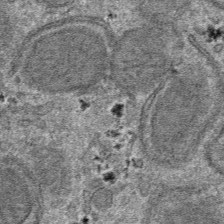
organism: Mouse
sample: Mouse hepatocytes